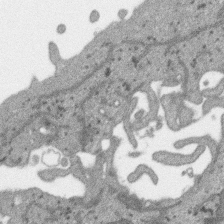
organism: Human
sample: Lung epithelial cells infected with SARS-CoV-2